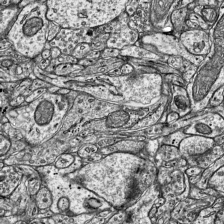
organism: Mouse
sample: Visual Cortex